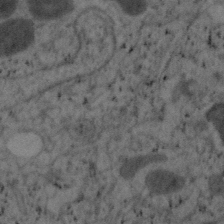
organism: Human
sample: HeLa cells